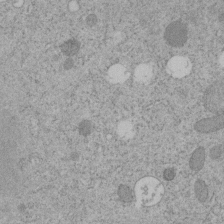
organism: C. elegans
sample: C. elegans embryo early stage